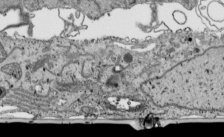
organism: Human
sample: Mitochondria in HCT116 cells